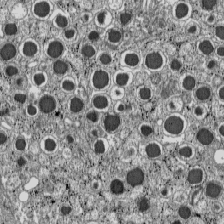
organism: C57BL Mouse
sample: Pancreatic islet